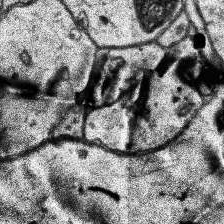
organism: Human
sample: Temporal Lobe